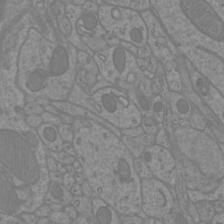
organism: Mouse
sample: Cortical neurons